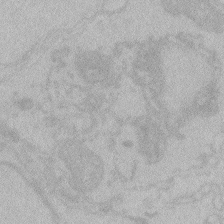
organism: Zebrafish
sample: Macrophage infected with Toxoplasma gondii